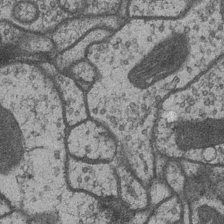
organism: Drosophila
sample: Optic medulla